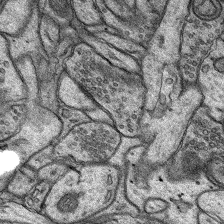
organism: Rat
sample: Hippocampus